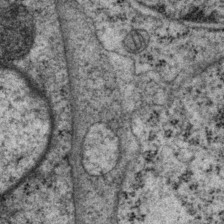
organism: P. pacificus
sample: Pharynx